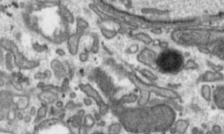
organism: Toxoplasma gondii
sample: Parasites in a vacuole inside a host cell